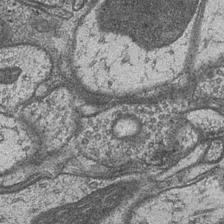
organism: Drosophila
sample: Optic medulla